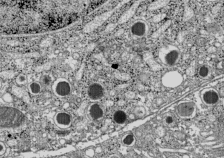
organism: C57BL Mouse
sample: Pancreatic islet